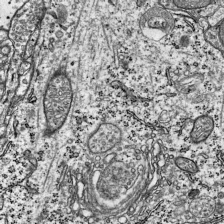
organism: Mouse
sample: Visual Cortex